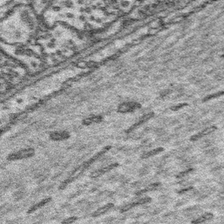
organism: Platynereis dumerilii